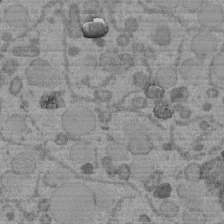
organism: C. elegans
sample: C. elegans embryo early stage